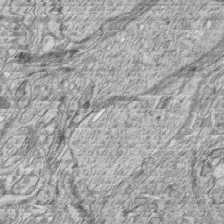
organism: Zebrafish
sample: synaptic ribbons in rod cells and cone cells